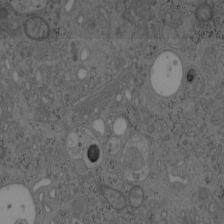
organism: Mouse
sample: OT-I killer T cells with ID8 ovarian cancer cells